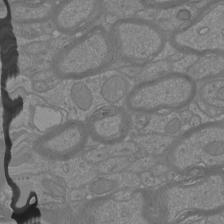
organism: Mouse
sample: Cortical neurons